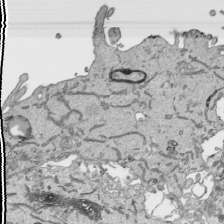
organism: Human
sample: Mitochondria in HCT116 cells